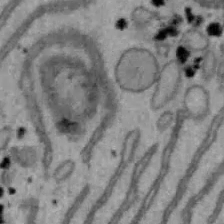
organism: Mouse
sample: Liver